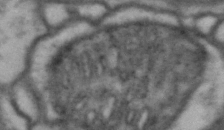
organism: Drosophila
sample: Brain